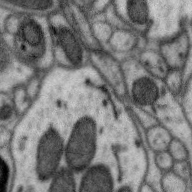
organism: Zebra finch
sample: Brain